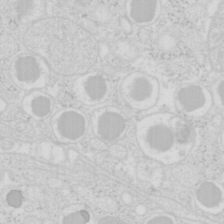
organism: Mouse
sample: Pancreas